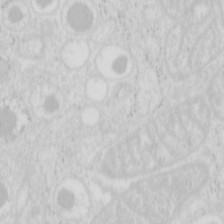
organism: Mouse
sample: Pancreas